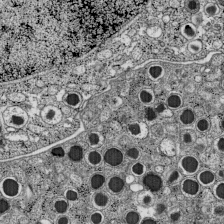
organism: C57BL Mouse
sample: Pancreatic islet